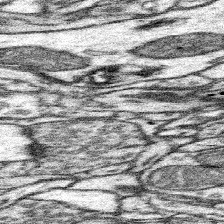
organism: Mouse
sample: Somatosensory cortex neuropil